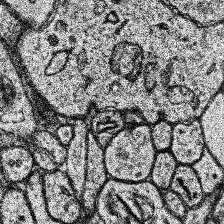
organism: Human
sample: Temporal Lobe